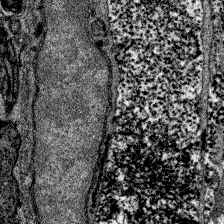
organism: Zebrafish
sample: Larval olfactory bulb